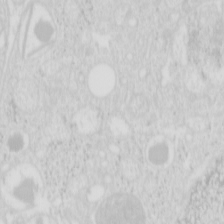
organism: Mouse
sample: Pancreas